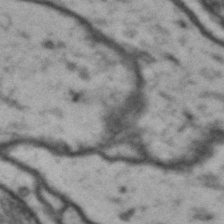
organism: Drosophila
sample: Brain